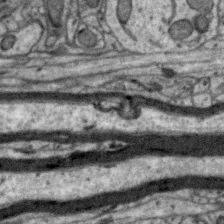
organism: Zebra finch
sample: Brain